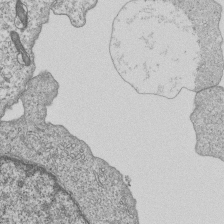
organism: Human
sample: MDA-MB-231 cells